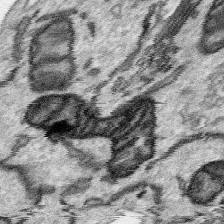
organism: Human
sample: HeLa cells